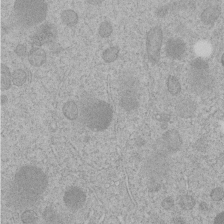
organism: C. elegans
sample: C. elegans embryo early stage